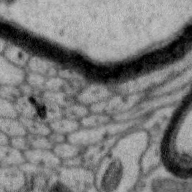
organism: Zebra finch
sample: Brain